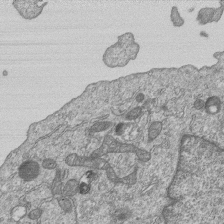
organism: Human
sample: MDA-MB-231 cells